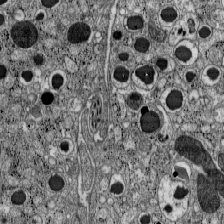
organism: C57BL Mouse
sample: Pancreatic islet